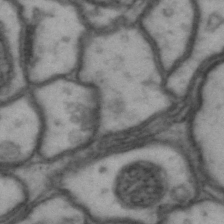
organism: Drosophila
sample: Brain